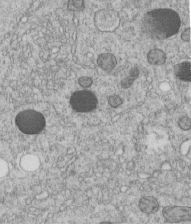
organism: C. elegans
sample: C. elegans embryo early stage